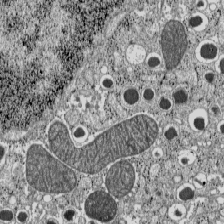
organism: C57BL Mouse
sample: Pancreatic islet